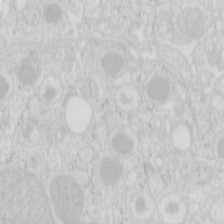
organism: Mouse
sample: Pancreas